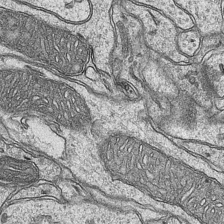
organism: Mouse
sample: CA1 Hippocampus